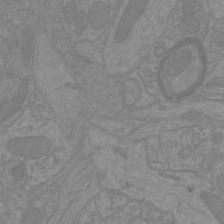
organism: Mouse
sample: Cortical neurons